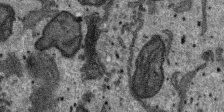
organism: Human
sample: Lung epithelial cells, uninfected (mock) control